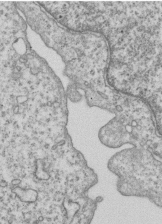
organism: Human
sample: MDA-MB-231 cells